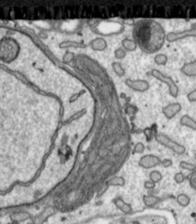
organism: Toxoplasma gondii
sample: Parasites in a vacuole inside a host cell